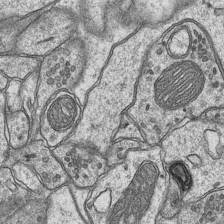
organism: Mouse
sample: CA1 Hippocampus